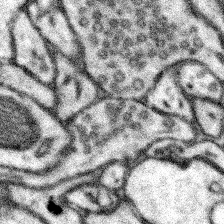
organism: Mouse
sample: Somatosensory cortex neuropil